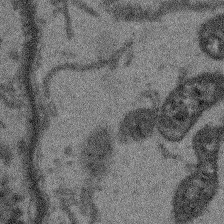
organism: Arabidopsis thaliana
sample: Root tip